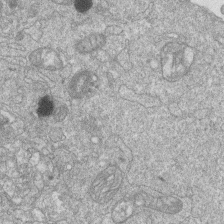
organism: Human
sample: HeLa cell HIV synapse